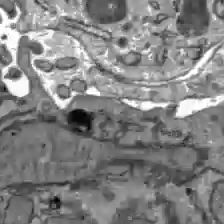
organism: C57BL Mouse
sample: Liver